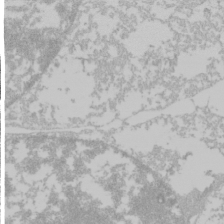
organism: Mouse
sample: Cancer cell death in ED-1 cells